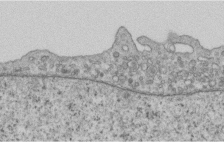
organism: Human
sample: Centriole in RPE cells